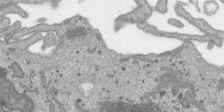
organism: Human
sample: Lung epithelial cells infected with SARS-CoV-2